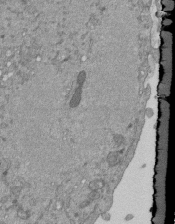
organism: Mouse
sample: ED-1 cell nuclei; centrioles